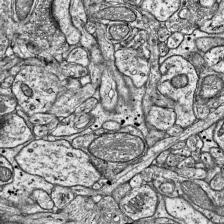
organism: Mouse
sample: Visual Cortex